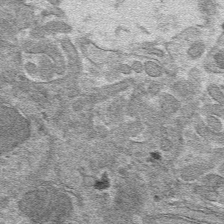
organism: Mouse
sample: Mouse hepatocytes